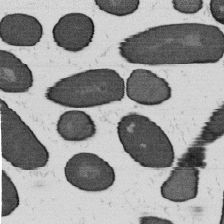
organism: B. subtilis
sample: Bacterial spore